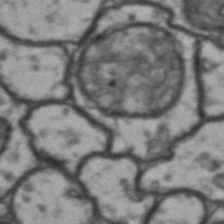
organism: Drosophila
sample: Brain